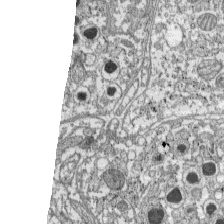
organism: C57BL Mouse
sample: Pancreatic islet